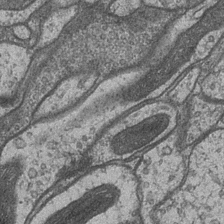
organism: Drosophila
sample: Optic medulla